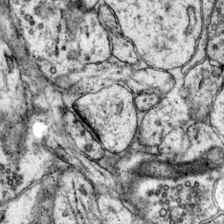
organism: Mouse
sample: Primary visual cortex